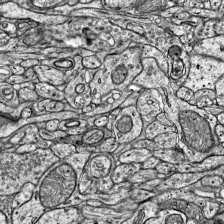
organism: Mouse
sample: Visual Cortex